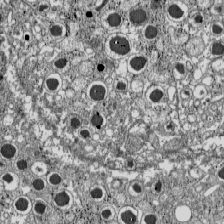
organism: C57BL Mouse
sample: Pancreatic islet